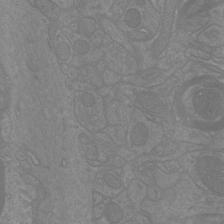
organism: Mouse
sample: Cortical neurons